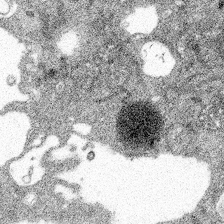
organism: Spongilla lacustris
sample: Multiple